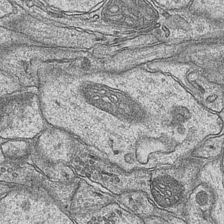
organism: Mouse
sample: CA1 Hippocampus